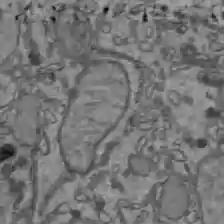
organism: C57BL Mouse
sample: Liver